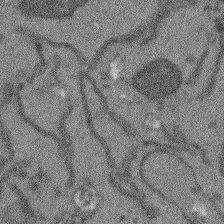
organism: Arabidopsis thaliana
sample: Root tip